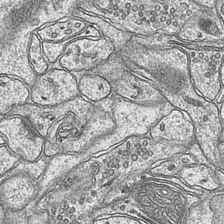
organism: Mouse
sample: CA1 Hippocampus